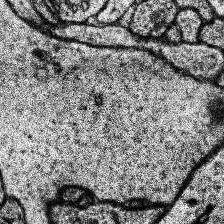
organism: Human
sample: Temporal Lobe